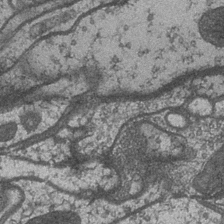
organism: Drosophila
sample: Optic medulla